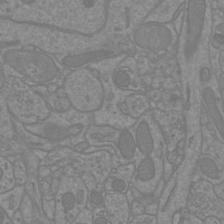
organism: Mouse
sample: Cortical neurons